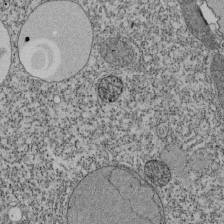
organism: Tetrahymena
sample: Cilia in tetrahymena